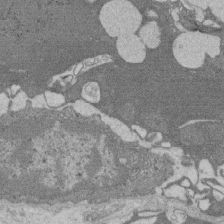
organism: Rat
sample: Salivary granule